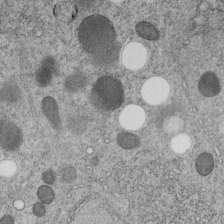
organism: C. elegans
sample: C. elegans embryo early stage